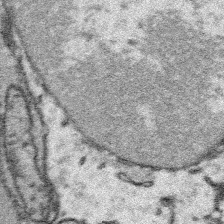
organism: Platynereis dumerilii